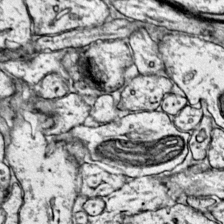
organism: Mouse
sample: Primary visual cortex